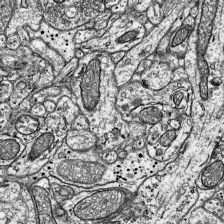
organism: Mouse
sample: Visual Cortex